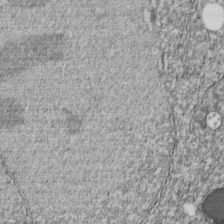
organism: C. elegans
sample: C. elegans embryo early stage